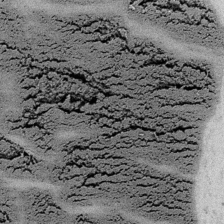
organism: Embia sp.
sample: Silk gland